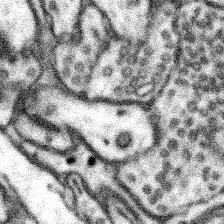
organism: Mouse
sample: Somatosensory cortex neuropil